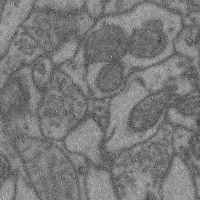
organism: Mouse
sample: Cerebral cortex